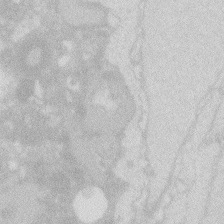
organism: Zebrafish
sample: Macrophage